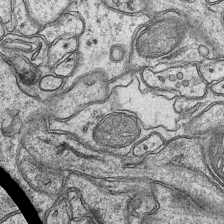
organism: Mouse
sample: CA1 Hippocampus